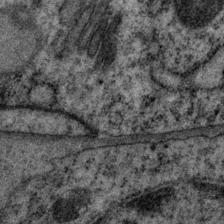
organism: P. pacificus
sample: Pharynx